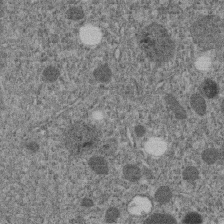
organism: C. elegans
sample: C. elegans embryo early stage